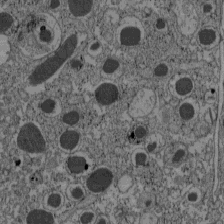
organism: C57BL Mouse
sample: Pancreatic islet